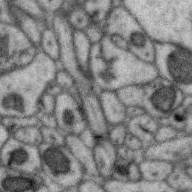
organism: Zebra finch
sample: Brain